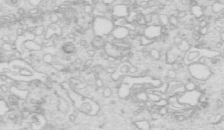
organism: Mouse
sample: Multiciliated cells